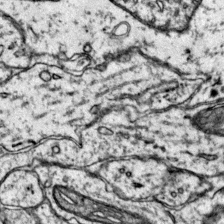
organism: Mouse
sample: Primary visual cortex